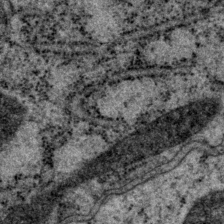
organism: P. pacificus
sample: Pharynx